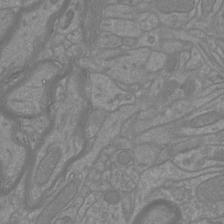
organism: Mouse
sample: Cortical neurons